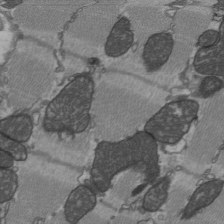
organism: C57BL Mouse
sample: Heart